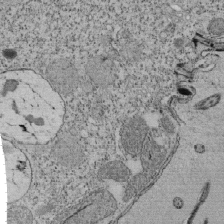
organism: Tetrahymena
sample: Cilia in tetrahymena